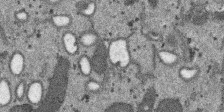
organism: Human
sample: Lung epithelial cells infected with SARS-CoV-2